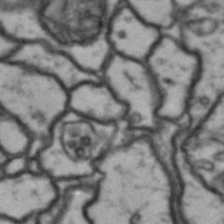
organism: Drosophila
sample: Brain